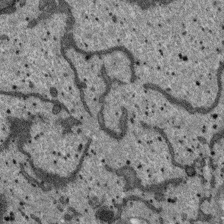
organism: Human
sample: Lung epithelial cells, uninfected (mock) control